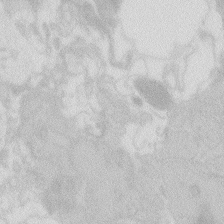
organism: Zebrafish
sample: Macrophage